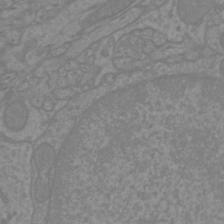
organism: Mouse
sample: Cortical neurons